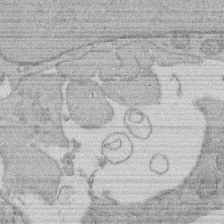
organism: Rat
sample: Salivary granule